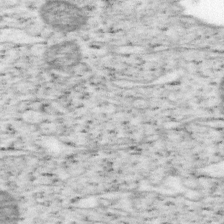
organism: Mouse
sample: OT-I killer T cells with ID8 ovarian cancer cells